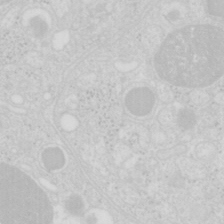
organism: Mouse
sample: Pancreas